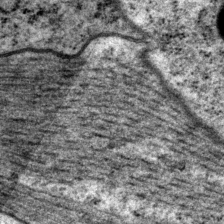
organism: P. pacificus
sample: Pharynx